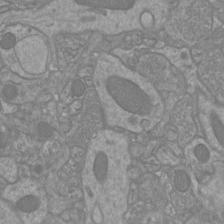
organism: Mouse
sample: Cortical neurons